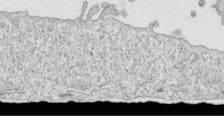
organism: Human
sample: HeLa cell HIV synapse